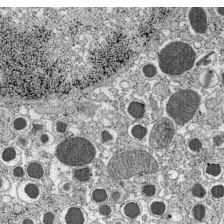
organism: C57BL Mouse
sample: Pancreatic islet